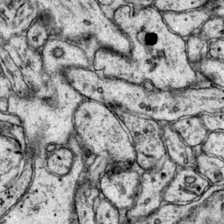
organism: Mouse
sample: Primary visual cortex